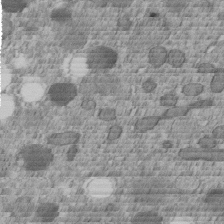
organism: C. elegans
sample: C. elegans embryo early stage